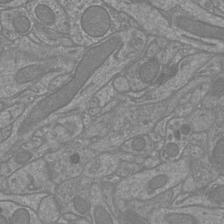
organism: Mouse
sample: Cortical neurons